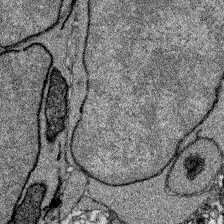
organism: Zebrafish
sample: Larval olfactory bulb